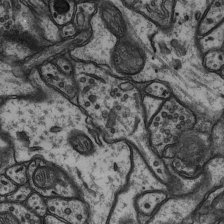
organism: Rat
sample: Hippocampus